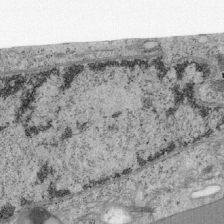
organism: Human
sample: HeLa cells